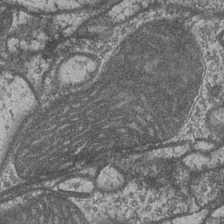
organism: Drosophila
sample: Optic medulla